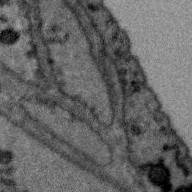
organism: Zebra finch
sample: Brain